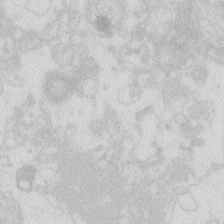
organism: Zebrafish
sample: Macrophage